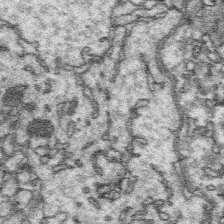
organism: Platynereis dumerilii